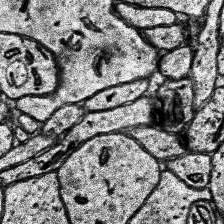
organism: Human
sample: Temporal Lobe